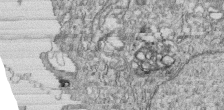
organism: Human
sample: HeLa cell HIV synapse